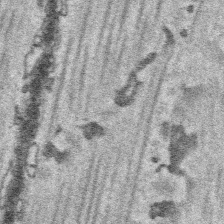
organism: Platynereis dumerilii